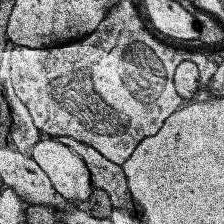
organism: Human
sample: Temporal Lobe